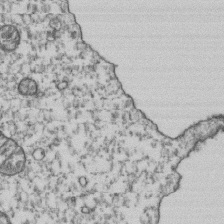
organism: Human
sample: Activated Jurkat CD4+ T cells